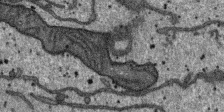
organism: Human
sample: Lung epithelial cells, uninfected (mock) control